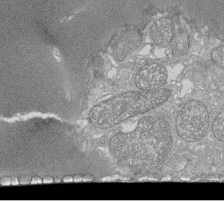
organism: Tetrahymena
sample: Cilia in tetrahymena